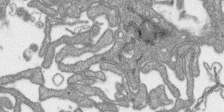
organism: Human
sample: Lung epithelial cells infected with SARS-CoV-2